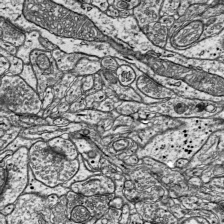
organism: Mouse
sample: Visual Cortex